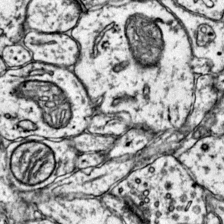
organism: Mouse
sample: Primary visual cortex